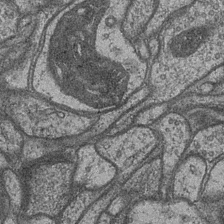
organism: Drosophila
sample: Optic medulla